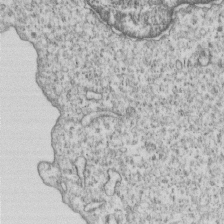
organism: Human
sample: MDA-MB-231 cells